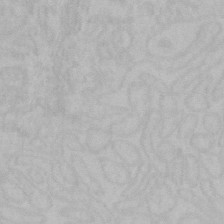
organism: Mouse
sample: Choroid plexus